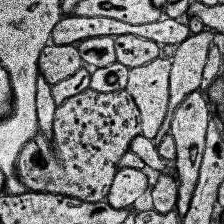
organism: Human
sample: Temporal Lobe